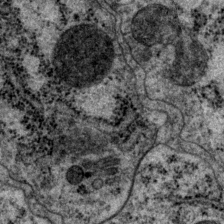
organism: P. pacificus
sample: Pharynx